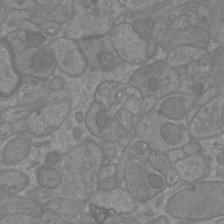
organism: Mouse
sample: Cortical neurons